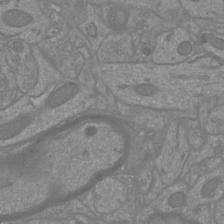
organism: Mouse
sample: Cortical neurons